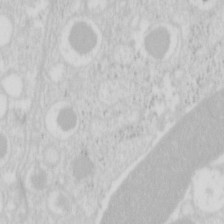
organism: Mouse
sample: Pancreas